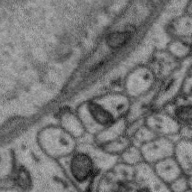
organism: Zebra finch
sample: Brain